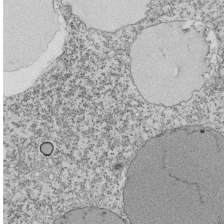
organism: Tetrahymena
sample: Cilia in tetrahymena